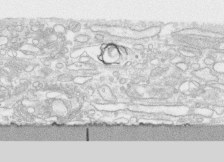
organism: Human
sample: CRL-1474